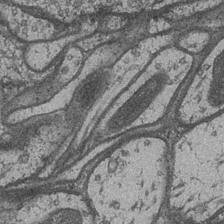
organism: Drosophila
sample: Optic medulla